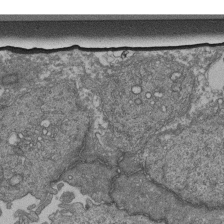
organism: Human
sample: Retinal organoid Rod and Cone cells